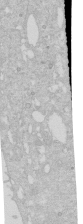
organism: Human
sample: Caco-2 cells